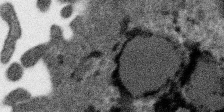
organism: Human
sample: Lung epithelial cells infected with SARS-CoV-2